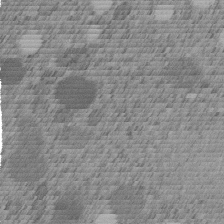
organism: C. elegans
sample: C. elegans embryo early stage